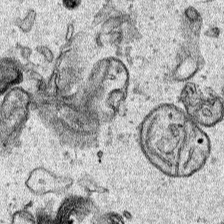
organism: Human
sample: Mitochondria in HCT116 cells